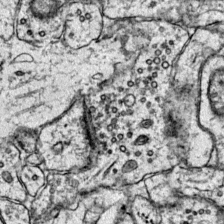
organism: Mouse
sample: Primary visual cortex